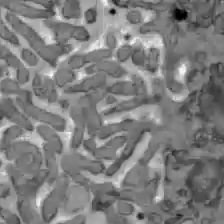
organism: C57BL Mouse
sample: Liver